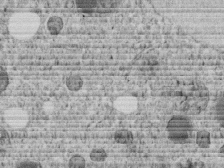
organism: C. elegans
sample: C. elegans embryo early stage